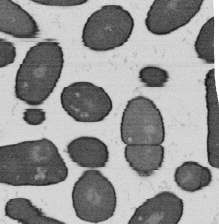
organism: B. subtilis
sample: Bacterial spore